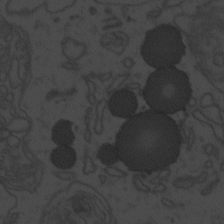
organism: Zebrafish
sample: Macrophage infected with Toxoplasma gondii